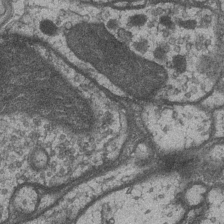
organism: Drosophila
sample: Optic medulla